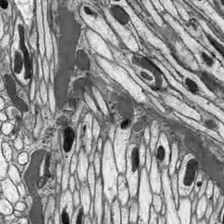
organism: Drosophila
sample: Optic lobe